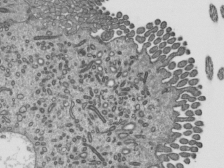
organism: Mouse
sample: Mouse epididymis efferent ductule cilia